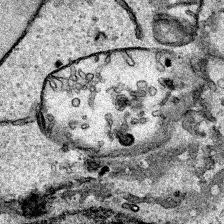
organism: Human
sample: Mitochondria in HCT116 cells